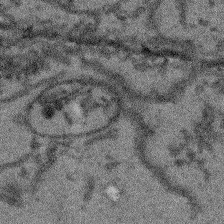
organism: Arabidopsis thaliana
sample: Root tip